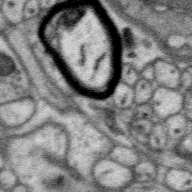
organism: Zebra finch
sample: Brain